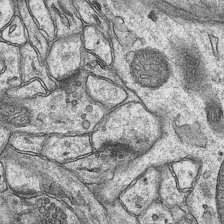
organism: Mouse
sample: CA1 Hippocampus